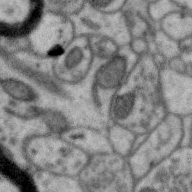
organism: Zebra finch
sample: Brain